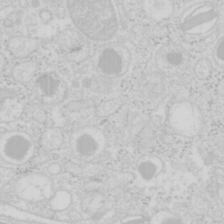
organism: Mouse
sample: Pancreas